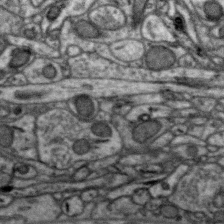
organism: Zebra finch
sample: Brain